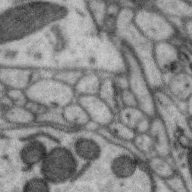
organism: Zebra finch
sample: Brain